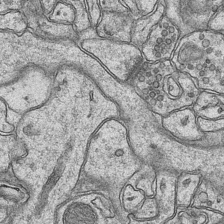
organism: Mouse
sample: CA1 Hippocampus